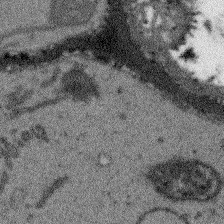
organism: Arabidopsis thaliana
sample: Root tip